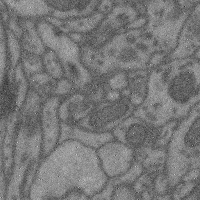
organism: Mouse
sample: Cerebral cortex